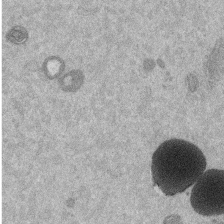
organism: Mouse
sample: Dividing mouse embryo 1 cell stage